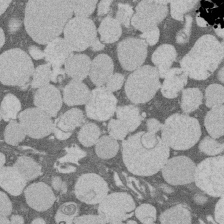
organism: Rat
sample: Salivary granule